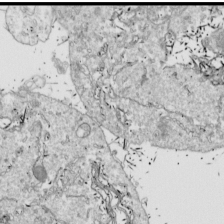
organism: Drosophila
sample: Cell division; meiosis; drosophila spermatocytes